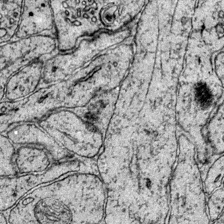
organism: Mouse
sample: Primary visual cortex